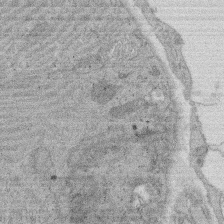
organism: Rat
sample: Salivary granule